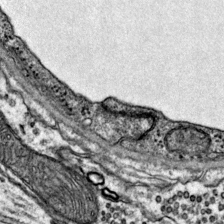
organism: Mouse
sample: Primary visual cortex